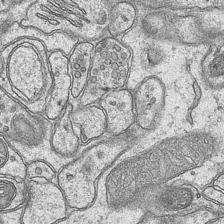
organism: Mouse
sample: CA1 Hippocampus